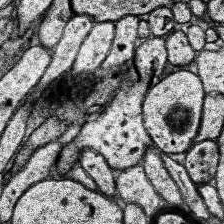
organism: Human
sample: Temporal Lobe